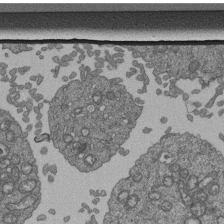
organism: Human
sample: Retinal organoid Rod and Cone cells